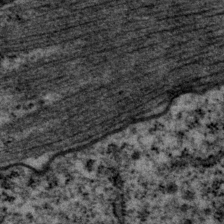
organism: P. pacificus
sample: Pharynx